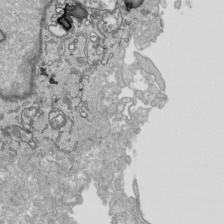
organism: Human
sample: Mitochondria in HCT116 cells